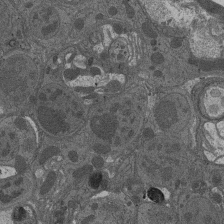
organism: Drosophila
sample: Antenna